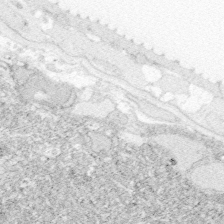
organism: Zebrafish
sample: Whole-Brain